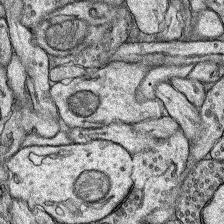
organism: Rat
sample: Hippocampus